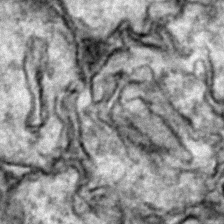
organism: Zebrafish